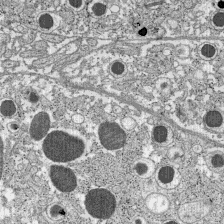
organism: C57BL Mouse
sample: Pancreatic islet